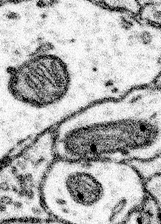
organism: Mouse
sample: Somatosensory cortex neuropil